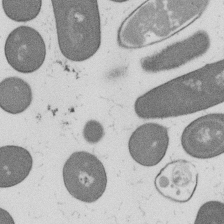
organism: B. subtilis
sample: Bacterial spore